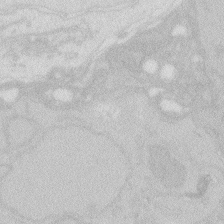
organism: Zebrafish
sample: Macrophage